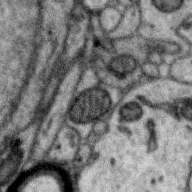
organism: Zebra finch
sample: Brain